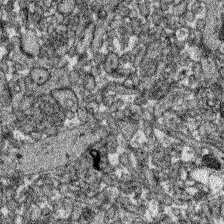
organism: Zebrafish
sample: Larval olfactory bulb